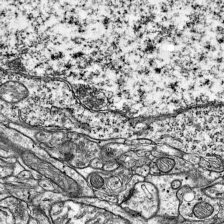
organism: Mouse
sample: Visual Cortex